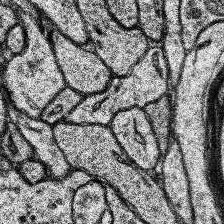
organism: Human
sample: Temporal Lobe